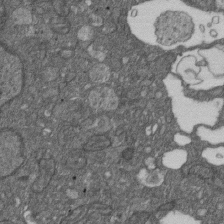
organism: Drosophila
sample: Nephrocyte